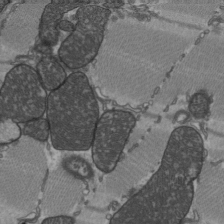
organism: C57BL Mouse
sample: Heart